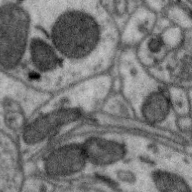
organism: Zebra finch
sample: Brain